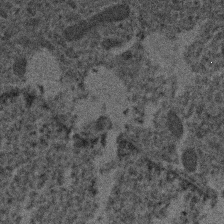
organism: Human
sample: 1205lu cells